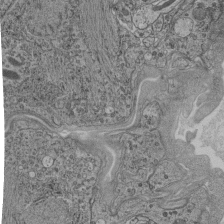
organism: C. elegans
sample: C. elegans pharynx